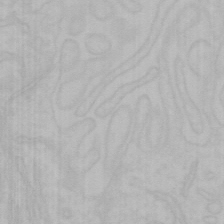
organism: Mouse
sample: Choroid plexus